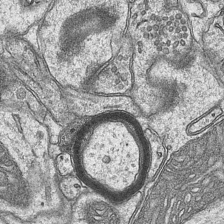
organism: Mouse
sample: CA1 Hippocampus